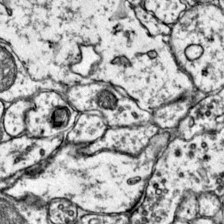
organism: Mouse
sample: Primary visual cortex